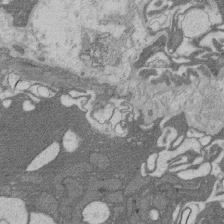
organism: Rat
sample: Salivary granule